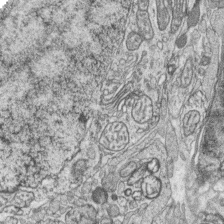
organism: Zebrafish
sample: synaptic ribbons in rod cells and cone cells